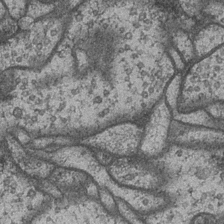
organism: Drosophila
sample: Optic medulla